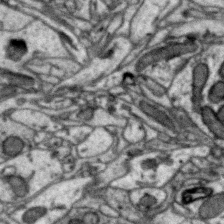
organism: Zebra finch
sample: Brain